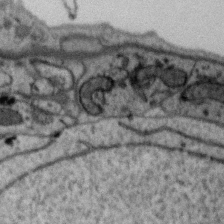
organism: Zebra finch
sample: Brain